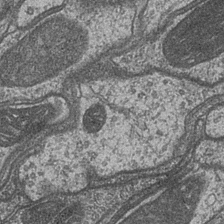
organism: Drosophila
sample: Optic medulla